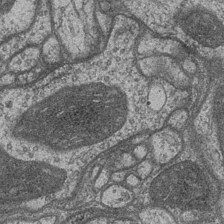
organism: Drosophila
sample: Optic medulla